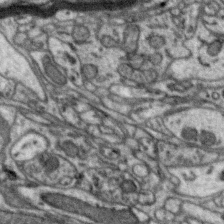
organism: Zebra finch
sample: Brain